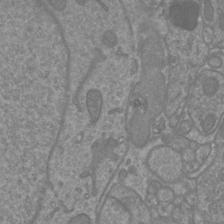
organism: Mouse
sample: Cortical neurons